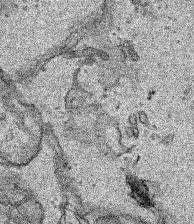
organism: Human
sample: Mitochondria in HCT116 cells